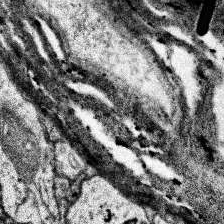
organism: Human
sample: Temporal Lobe